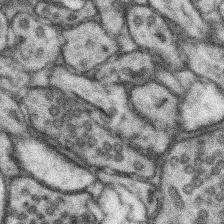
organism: Mouse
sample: Somatosensory cortex neuropil